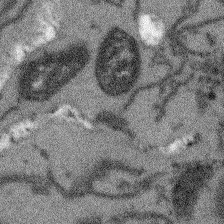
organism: Arabidopsis thaliana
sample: Root tip